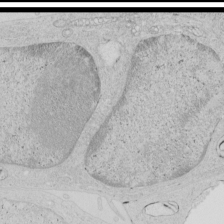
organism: Human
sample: Mitochondria in HCT116 cells